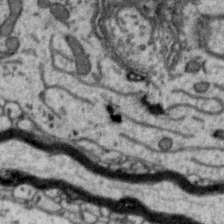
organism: Zebra finch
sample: Brain